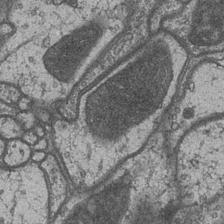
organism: Drosophila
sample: Optic medulla